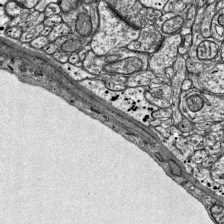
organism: Mouse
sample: Visual Cortex